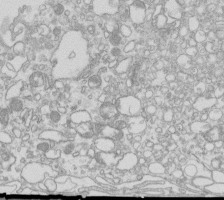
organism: Mouse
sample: Macrophages